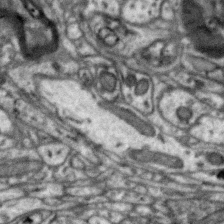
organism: Zebra finch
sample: Brain